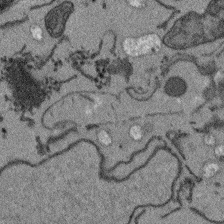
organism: Arabidopsis thaliana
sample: Root tip